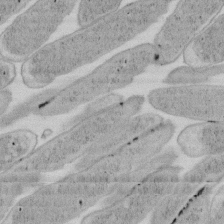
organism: E. coli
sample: Bacterial nucleoid